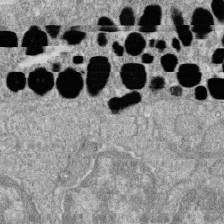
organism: Zebrafish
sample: Cilia; retinal pigment epithelium